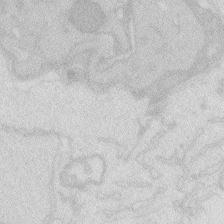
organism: Zebrafish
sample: Macrophage